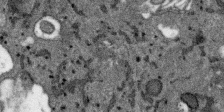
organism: Human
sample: Lung epithelial cells, uninfected (mock) control